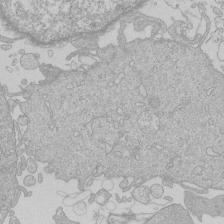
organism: Human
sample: Macrophage cells